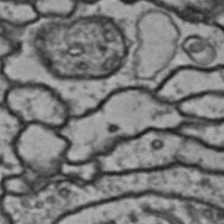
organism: Drosophila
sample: Brain